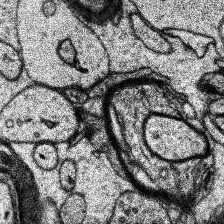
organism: Human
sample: Temporal Lobe